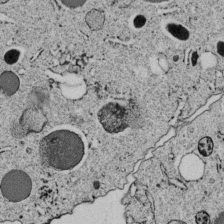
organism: C. elegans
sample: C. elegans embryo early stage